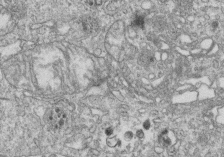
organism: Human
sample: HeLa cell HIV synapse